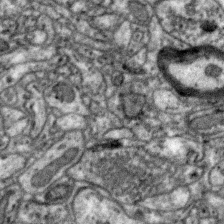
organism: Zebra finch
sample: Brain